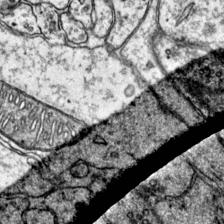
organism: Mouse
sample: Primary visual cortex